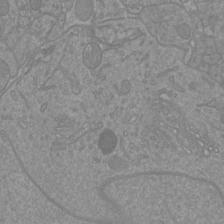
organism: Mouse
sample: Cortical neurons